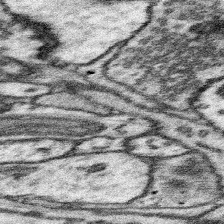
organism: Mouse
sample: Somatosensory cortex neuropil